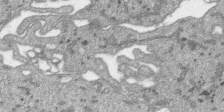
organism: Human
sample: Lung epithelial cells infected with SARS-CoV-2